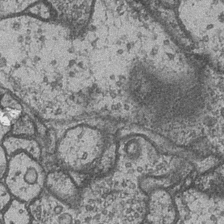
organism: Drosophila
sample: Optic medulla